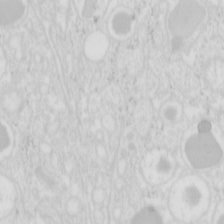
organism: Mouse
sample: Pancreas